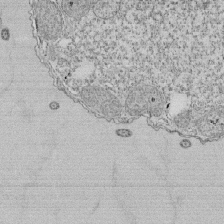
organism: Tetrahymena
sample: Cilia in tetrahymena